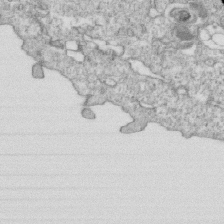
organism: Mouse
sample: Activated OT-1 CD8+ T cells